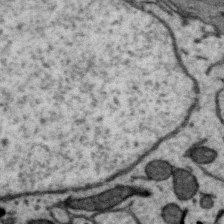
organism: Zebra finch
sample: Brain